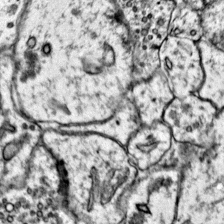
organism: Mouse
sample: Primary visual cortex